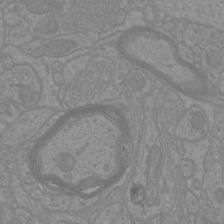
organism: Mouse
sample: Cortical neurons